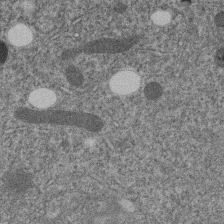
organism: C. elegans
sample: C. elegans embryo early stage